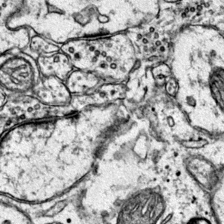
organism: Mouse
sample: Primary visual cortex